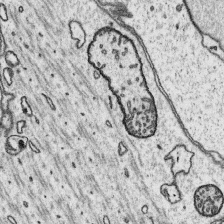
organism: Platynereis dumerilii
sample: Parapodia